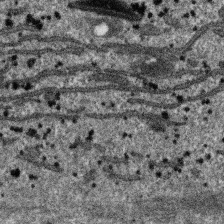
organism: Human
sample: Lung epithelial cells infected with SARS-CoV-2